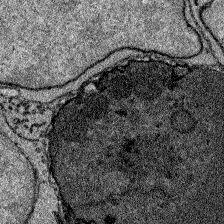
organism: Zebrafish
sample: Larval olfactory bulb